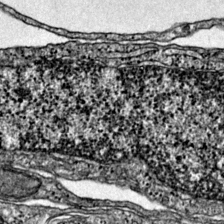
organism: Mouse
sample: Primary visual cortex